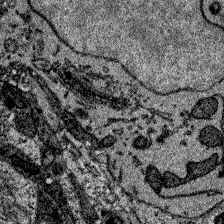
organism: Zebrafish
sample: Larval olfactory bulb